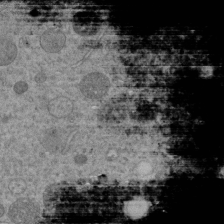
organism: C. elegans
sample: C. elegans embryo early stage